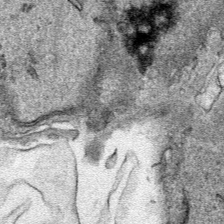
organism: Human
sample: Mitochondria in HCT116 cells